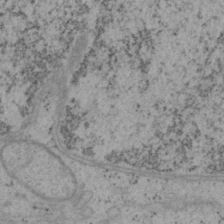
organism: Human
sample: HeLa cells